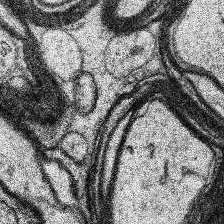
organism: Human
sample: Temporal Lobe